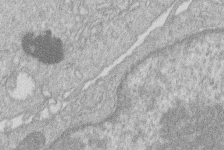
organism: Human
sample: Macrophage cells